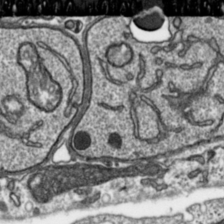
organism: Toxoplasma gondii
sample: Parasites in a vacuole inside a host cell